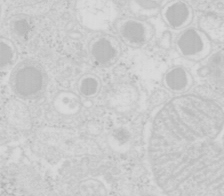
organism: Mouse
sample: Pancreas